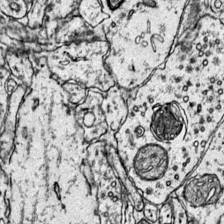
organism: Mouse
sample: Primary visual cortex